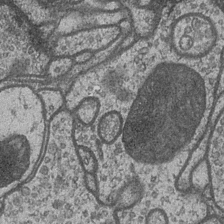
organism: Drosophila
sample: Optic medulla